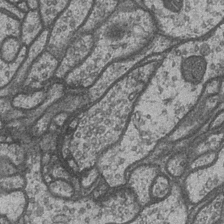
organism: Drosophila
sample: Optic medulla